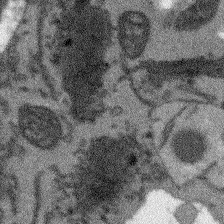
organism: Arabidopsis thaliana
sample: Root tip